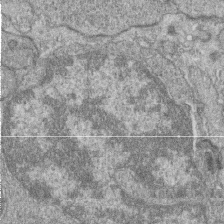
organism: Zebrafish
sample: Cilia; retinal pigment epithelium